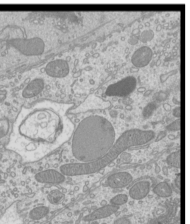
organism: Mouse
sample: Cilia; mouse epididymis